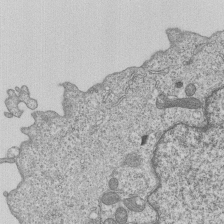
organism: Human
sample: MDA-MB-231 cells